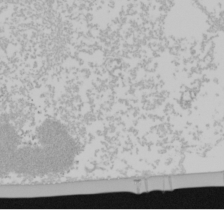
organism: Mouse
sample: Cancer cell death in ED-1 cells